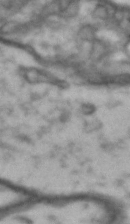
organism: Drosophila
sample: Brain